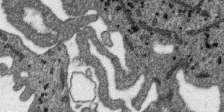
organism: Human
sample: Lung epithelial cells infected with SARS-CoV-2